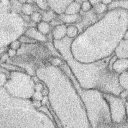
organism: Rabbit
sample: Retina